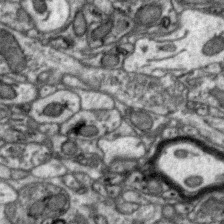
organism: Zebra finch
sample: Brain